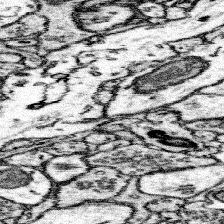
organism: Mouse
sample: Somatosensory cortex neuropil